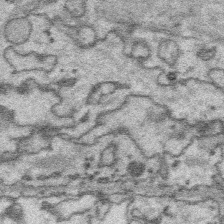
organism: Platynereis dumerilii